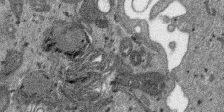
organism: Human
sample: Lung epithelial cells infected with SARS-CoV-2